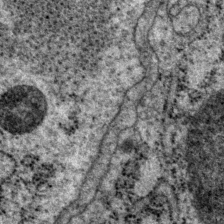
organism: P. pacificus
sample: Pharynx